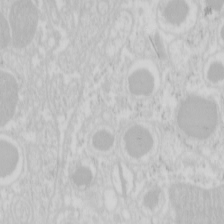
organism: Mouse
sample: Pancreas